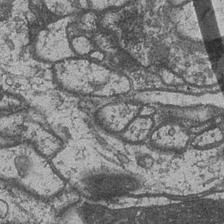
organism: Drosophila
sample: Optic medulla